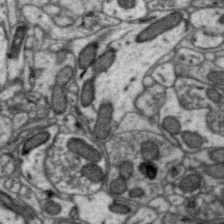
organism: Zebra finch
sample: Brain